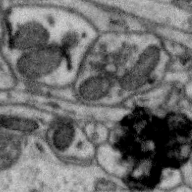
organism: Zebra finch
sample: Brain